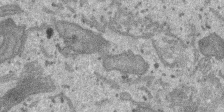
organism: Human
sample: Lung epithelial cells infected with SARS-CoV-2